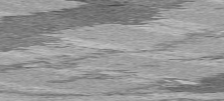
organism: C57BL Mouse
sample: Heart